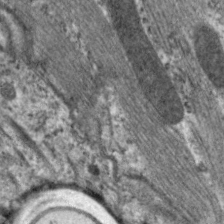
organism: C. elegans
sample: Pharynx